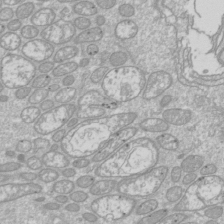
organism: Drosophila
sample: Cell division; meiosis; drosophila spermatocytes